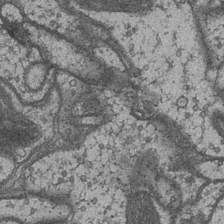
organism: Drosophila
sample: Optic medulla